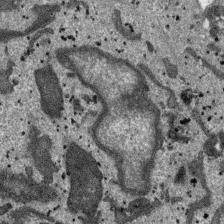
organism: Human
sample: Lung epithelial cells, uninfected (mock) control